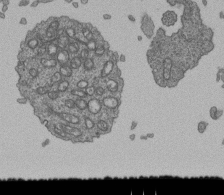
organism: Human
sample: Retinal organoid Rod and Cone cells